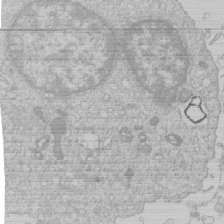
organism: Human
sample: Macrophage cells